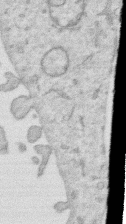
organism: Human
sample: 1205lu cells